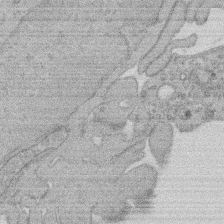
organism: Rat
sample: Salivary granule